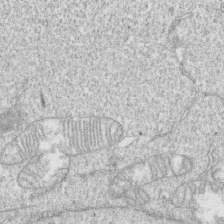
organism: Human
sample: HeLa cell HIV synapse